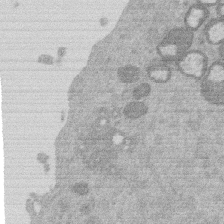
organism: Mouse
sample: Dividing mouse embryo 1 cell stage